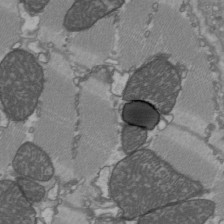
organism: C57BL Mouse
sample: Heart